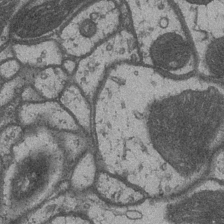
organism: Drosophila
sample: Optic medulla